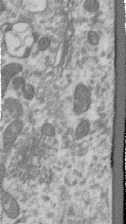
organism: Human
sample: Centriole in RPE cells